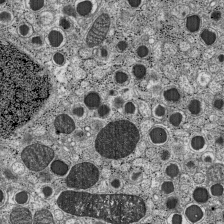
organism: C57BL Mouse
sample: Pancreatic islet